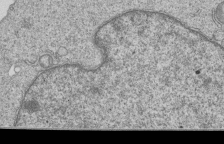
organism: Human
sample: MDA-MB-231 cells